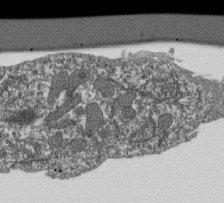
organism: Dictyostelium discoideum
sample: Dictyostelium multivesicular bodies